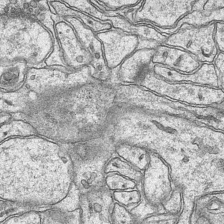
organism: Mouse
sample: CA1 Hippocampus